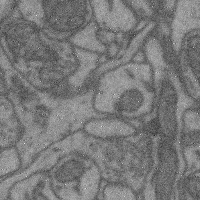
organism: Mouse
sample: Cerebral cortex